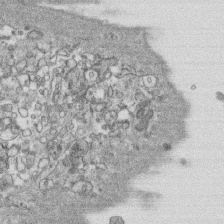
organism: Human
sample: CRL-1474